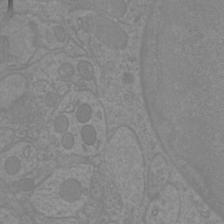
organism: Mouse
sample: Cortical neurons